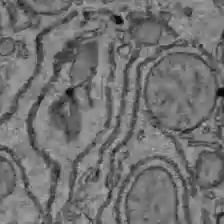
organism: C57BL Mouse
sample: Liver